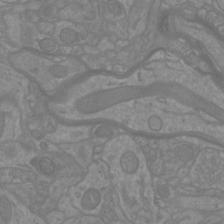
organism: Mouse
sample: Cortical neurons